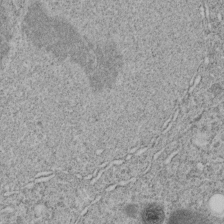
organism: C. elegans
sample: C. elegans embryo early stage